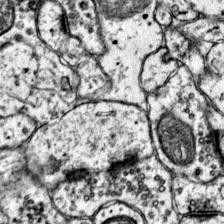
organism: Mouse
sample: Primary visual cortex